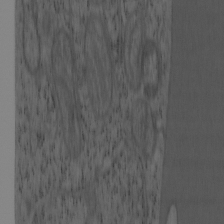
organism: Human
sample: HeLa cells